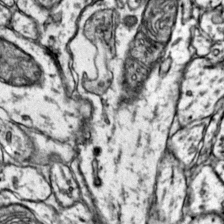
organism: Mouse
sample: Primary visual cortex